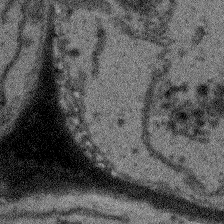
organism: Arabidopsis thaliana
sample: Root tip